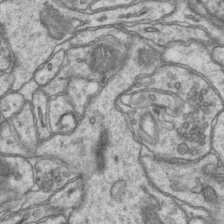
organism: Mouse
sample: CA1 Hippocampus